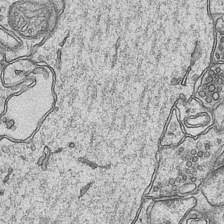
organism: Mouse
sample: CA1 Hippocampus